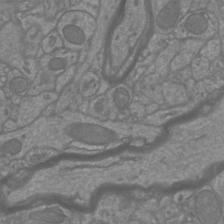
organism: Mouse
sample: Cortical neurons